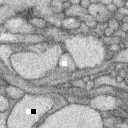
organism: Rabbit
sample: Retina